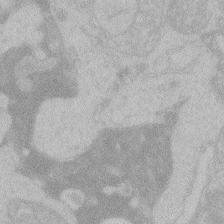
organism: Zebrafish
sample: Macrophage infected with Toxoplasma gondii